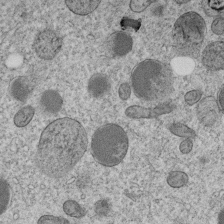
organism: C. elegans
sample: C. elegans embryo early stage